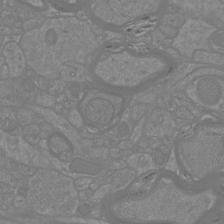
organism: Mouse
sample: Cortical neurons